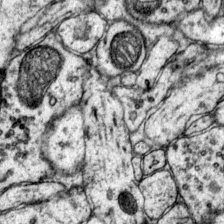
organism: Mouse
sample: Primary visual cortex